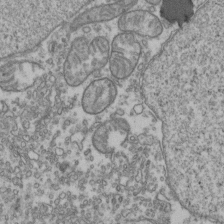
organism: Human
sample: Activated Jurkat CD4+ T cells